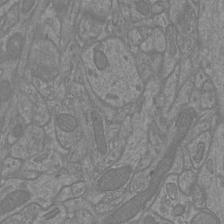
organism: Mouse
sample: Cortical neurons